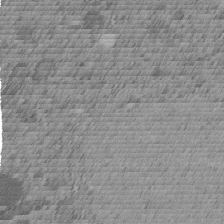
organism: C. elegans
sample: C. elegans embryo early stage